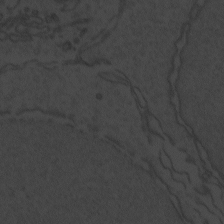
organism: Zebrafish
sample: Macrophage infected with Toxoplasma gondii